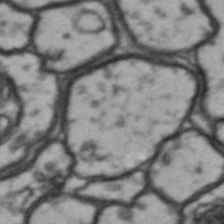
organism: Drosophila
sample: Brain